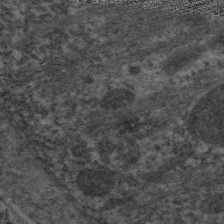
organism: C. elegans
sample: Pharynx